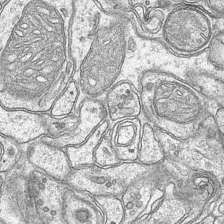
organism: Mouse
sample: CA1 Hippocampus